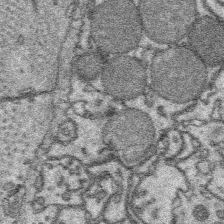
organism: Platynereis dumerilii